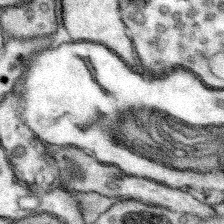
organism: Mouse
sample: Somatosensory cortex neuropil